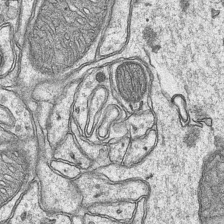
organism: Mouse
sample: CA1 Hippocampus